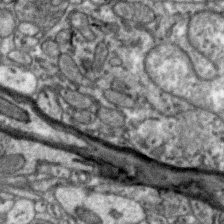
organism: Zebra finch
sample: Brain